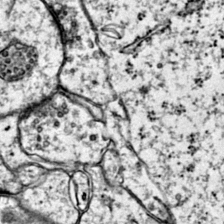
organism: Mouse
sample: Primary visual cortex